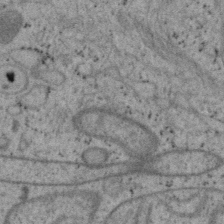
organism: Human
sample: HeLa cells